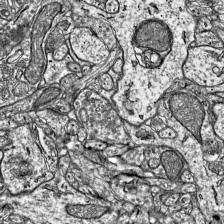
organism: Mouse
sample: Visual Cortex